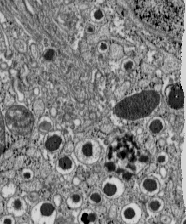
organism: C57BL Mouse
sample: Pancreatic islet